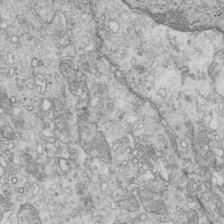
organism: Mouse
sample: Multiciliated cells